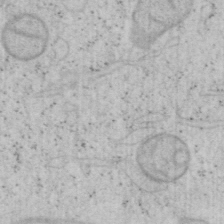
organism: Human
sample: HeLa cells